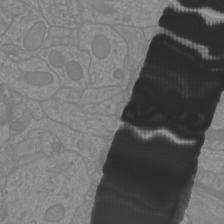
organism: Mouse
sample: Cortical neurons